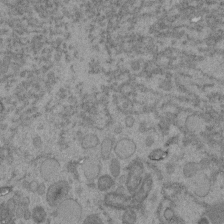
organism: C. elegans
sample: C. elegans embryo early stage